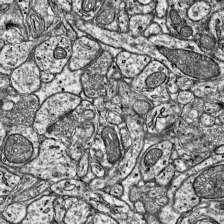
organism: Mouse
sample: Visual Cortex